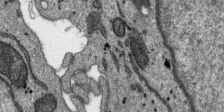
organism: Human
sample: Lung epithelial cells, uninfected (mock) control